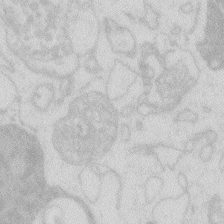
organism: Zebrafish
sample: Macrophage